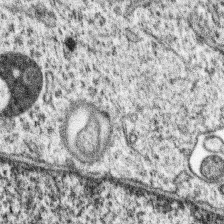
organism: Human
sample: HeLa cells